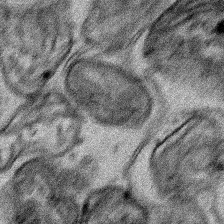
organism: Human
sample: Mitochondria in HCT116 cells